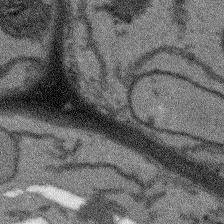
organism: Arabidopsis thaliana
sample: Root tip